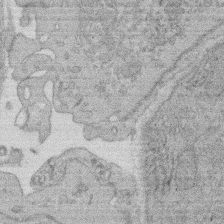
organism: Rat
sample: Salivary granule